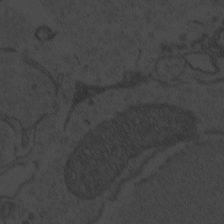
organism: Zebrafish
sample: Macrophage infected with Toxoplasma gondii